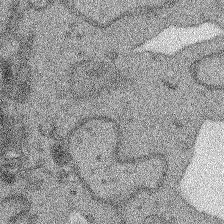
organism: Human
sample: HeLa cells